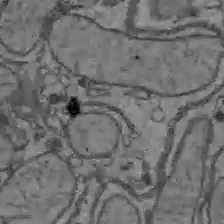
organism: C57BL Mouse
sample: Liver